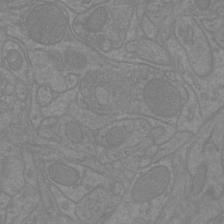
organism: Mouse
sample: Cortical neurons